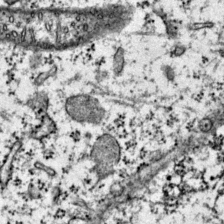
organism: Mouse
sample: Primary visual cortex